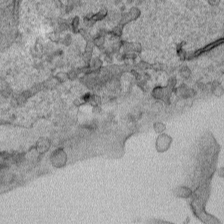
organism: Human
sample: Mitochondria in HCT116 cells